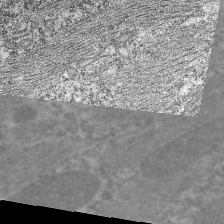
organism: C. elegans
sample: Pharynx